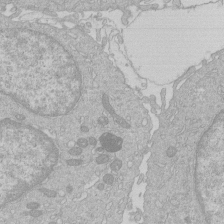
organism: Human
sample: Macrophage cells